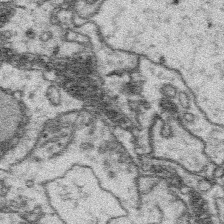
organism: Platynereis dumerilii